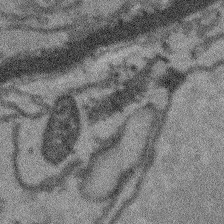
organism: Arabidopsis thaliana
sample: Root tip